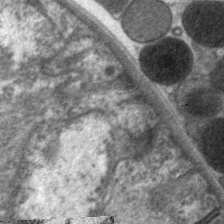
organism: C. elegans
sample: Pharynx